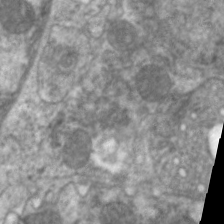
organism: C. elegans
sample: Pharynx